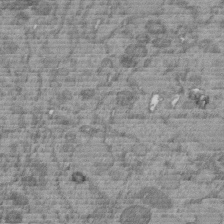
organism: C. elegans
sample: C. elegans embryo early stage